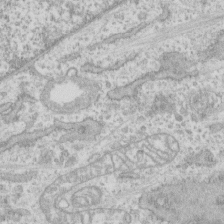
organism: Human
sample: CRL-1474